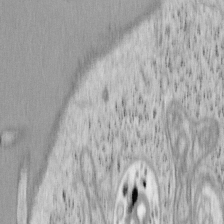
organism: Human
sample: HeLa cells